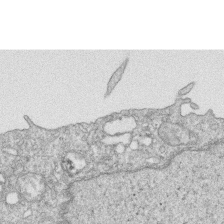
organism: Human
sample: HeLa cell HIV synapse